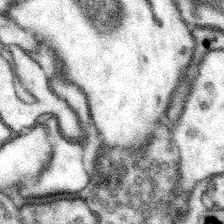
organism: Mouse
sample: Somatosensory cortex neuropil